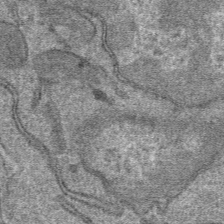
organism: Mouse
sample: Mouse hepatocytes